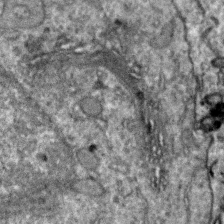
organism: Zebra finch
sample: Brain